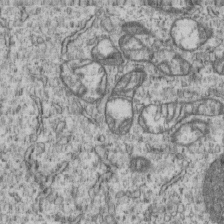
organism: Human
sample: MDA-MB-231 cells